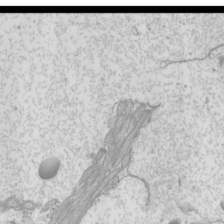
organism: Mouse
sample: Cilia; mouse epididymis